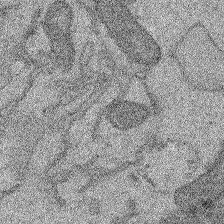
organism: Human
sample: HeLa cells